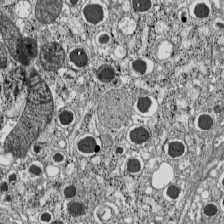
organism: C57BL Mouse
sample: Pancreatic islet